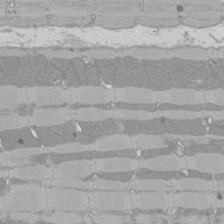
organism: Rat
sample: Left ventricle